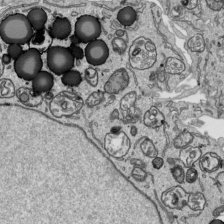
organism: Human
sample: Mitochondria in HCT116 cells